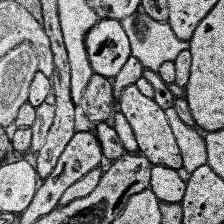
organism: Human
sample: Temporal Lobe